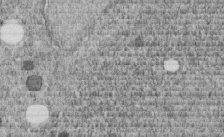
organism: C. elegans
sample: C. elegans embryo early stage